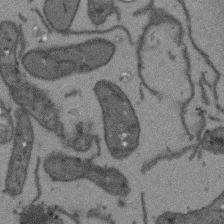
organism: Arabidopsis thaliana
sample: Root tip